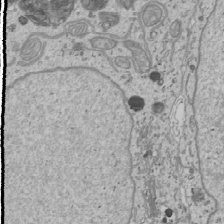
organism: Human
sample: Mitochondria in U2OS cells